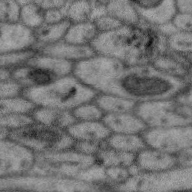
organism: Zebra finch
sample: Brain